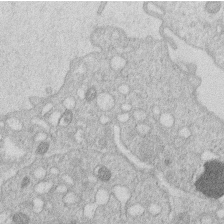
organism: Human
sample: Macrophage cells